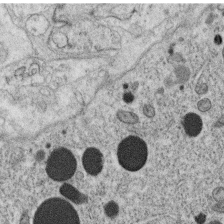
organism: C. elegans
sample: C. elegans oocyte; sperm cells